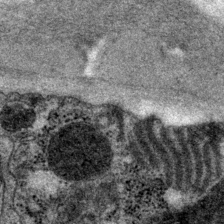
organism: P. pacificus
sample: Pharynx